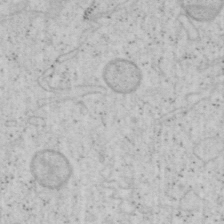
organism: Human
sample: HeLa cells